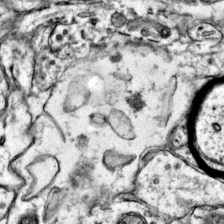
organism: Mouse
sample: Primary visual cortex